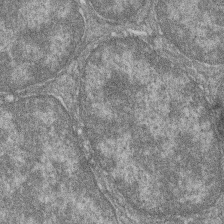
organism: Zebrafish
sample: Cilia; retinal pigment epithelium